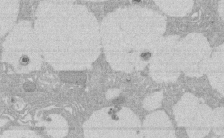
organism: Rat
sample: Salivary granule